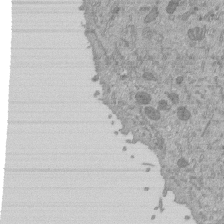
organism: Mouse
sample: ED-1 cell nuclei; centrioles